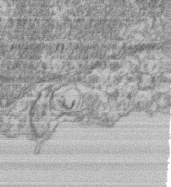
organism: Mouse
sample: T cell stromal cell synapse